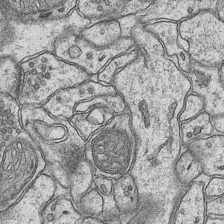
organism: Mouse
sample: CA1 Hippocampus